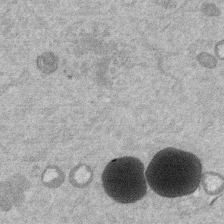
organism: Mouse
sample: Dividing mouse embryo 1 cell stage